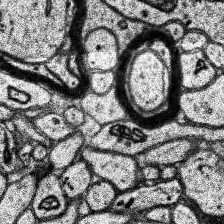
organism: Human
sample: Temporal Lobe